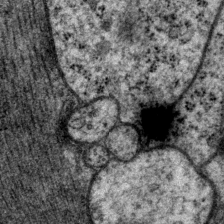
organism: P. pacificus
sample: Pharynx